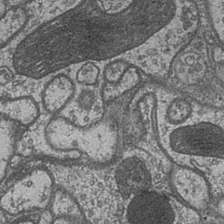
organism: Drosophila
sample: Optic medulla